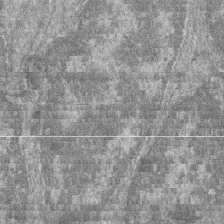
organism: Zebrafish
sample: Cilia; retinal pigment epithelium